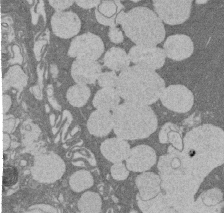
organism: Rat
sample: Salivary granule